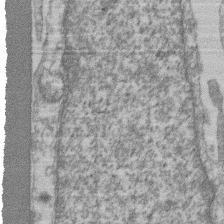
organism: Mouse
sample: T cell stromal cell synapse